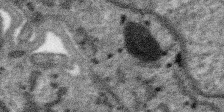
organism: Human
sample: Lung epithelial cells infected with SARS-CoV-2